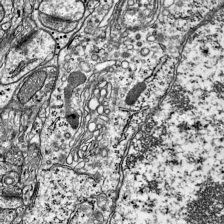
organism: Mouse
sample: Visual Cortex